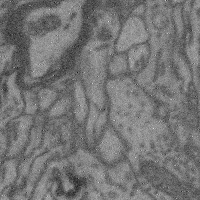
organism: Mouse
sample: Cerebral cortex